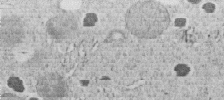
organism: C. elegans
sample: C. elegans embryo early stage